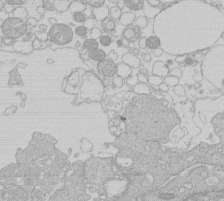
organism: Human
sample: Macrophage cells